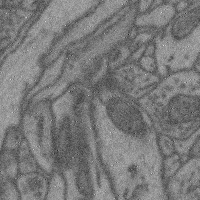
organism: Mouse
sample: Cerebral cortex